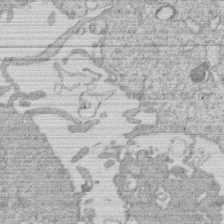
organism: Human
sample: Macrophage cells